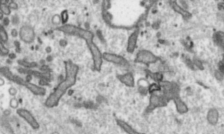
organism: Toxoplasma gondii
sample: Parasites in a vacuole inside a host cell